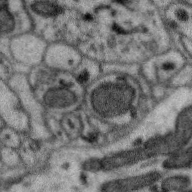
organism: Zebra finch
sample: Brain